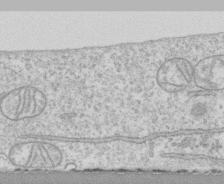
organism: Human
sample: CRL-1474